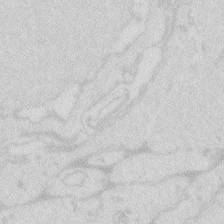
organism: Zebrafish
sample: Macrophage